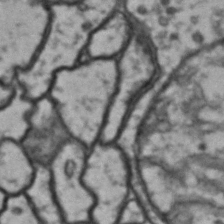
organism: Drosophila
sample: Brain